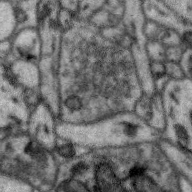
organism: Zebra finch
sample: Brain